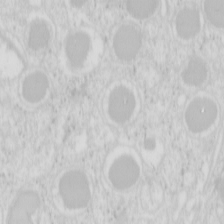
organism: Mouse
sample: Pancreas